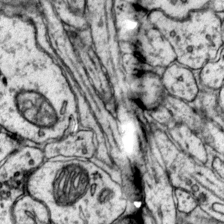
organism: Mouse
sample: Primary visual cortex